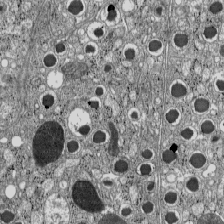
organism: C57BL Mouse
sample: Pancreatic islet